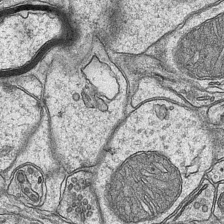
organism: Mouse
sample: CA1 Hippocampus